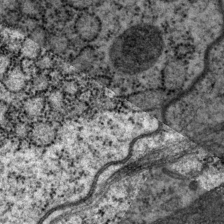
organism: P. pacificus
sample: Pharynx